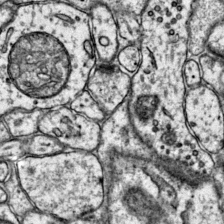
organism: Mouse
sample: Primary visual cortex